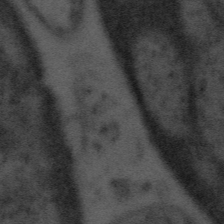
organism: Tuwongella immobilis